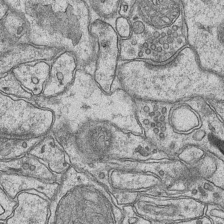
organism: Mouse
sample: CA1 Hippocampus